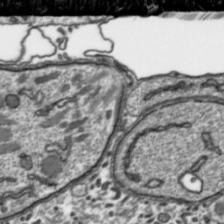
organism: Toxoplasma gondii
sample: Parasites in a vacuole inside a host cell